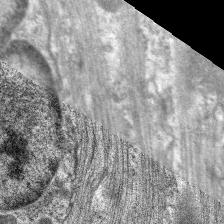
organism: C. elegans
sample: Pharynx